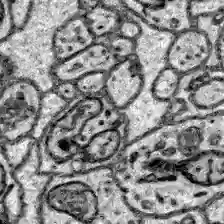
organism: Zebrafish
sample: Brain